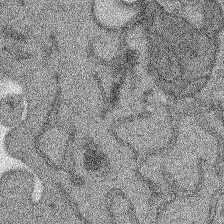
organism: Human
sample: HeLa cells